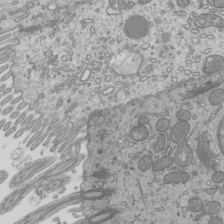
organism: Mouse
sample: Cilia; mouse epididymis